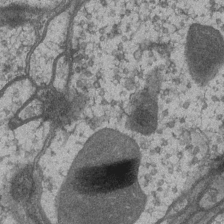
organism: Drosophila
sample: Optic medulla